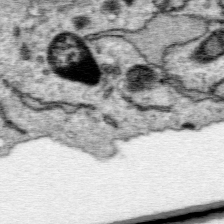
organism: Human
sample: HeLa cells